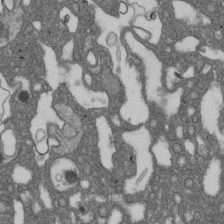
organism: Drosophila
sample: Nephrocyte